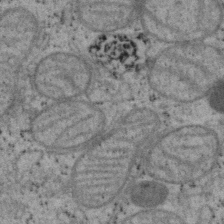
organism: Human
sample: HeLa cells